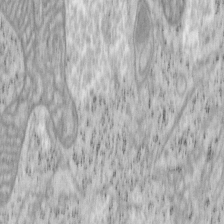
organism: Human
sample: HeLa cells